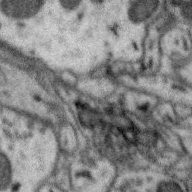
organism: Zebra finch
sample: Brain